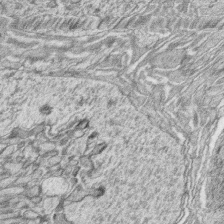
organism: Zebrafish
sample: synaptic ribbons in rod cells and cone cells